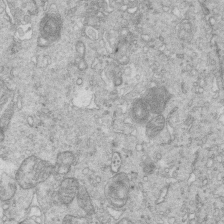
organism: Mouse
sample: Multiciliated cells